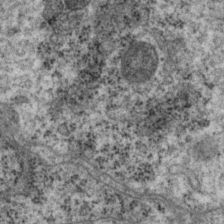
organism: P. pacificus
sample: Pharynx